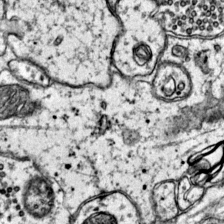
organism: Mouse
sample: Primary visual cortex